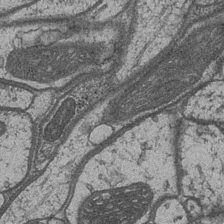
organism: Drosophila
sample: Optic medulla